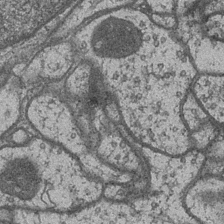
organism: Drosophila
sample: Optic medulla